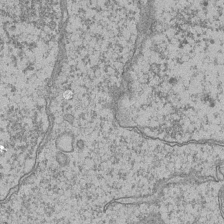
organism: Mouse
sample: CA1 Hippocampus